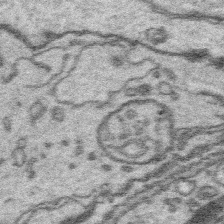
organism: Platynereis dumerilii